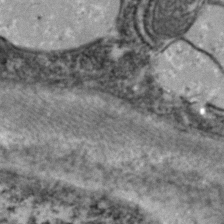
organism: Zebrafish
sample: Zebrafish embryo